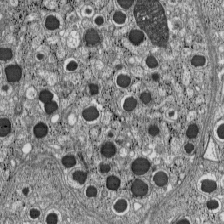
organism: C57BL Mouse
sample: Pancreatic islet